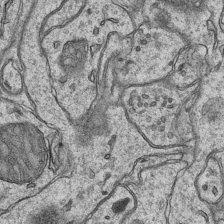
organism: Mouse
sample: CA1 Hippocampus